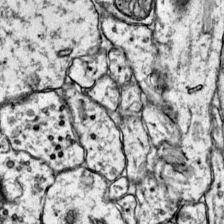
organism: Mouse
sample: Primary visual cortex